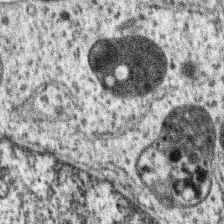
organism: Human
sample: HeLa cells